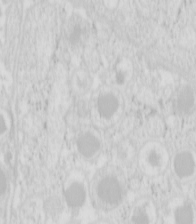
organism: Mouse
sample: Pancreas